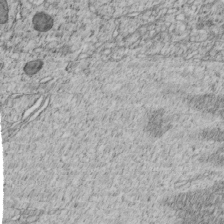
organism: C. elegans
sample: C. elegans embryo early stage